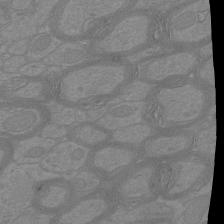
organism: Mouse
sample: Cortical neurons